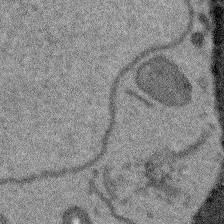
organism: Arabidopsis thaliana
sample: Root tip